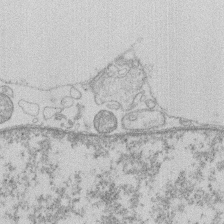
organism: Human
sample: Macrophage cells